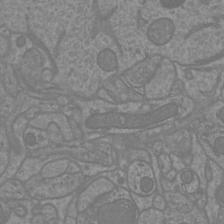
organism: Mouse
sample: Cortical neurons